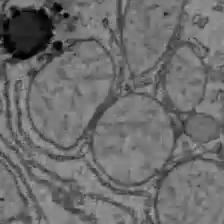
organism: C57BL Mouse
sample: Liver